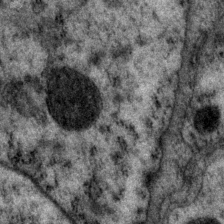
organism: P. pacificus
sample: Pharynx